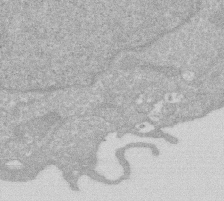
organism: Human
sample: HIV infected U937 cells